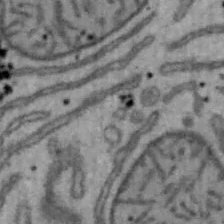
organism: Mouse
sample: Liver